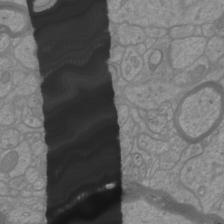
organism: Mouse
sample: Cortical neurons